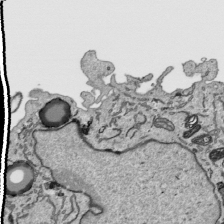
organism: Human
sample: Mitochondria in HCT116 cells